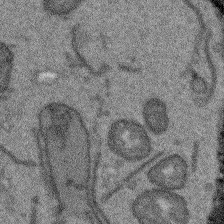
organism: Arabidopsis thaliana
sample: Root tip